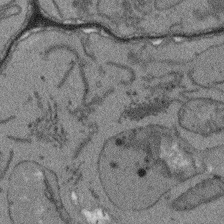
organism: Arabidopsis thaliana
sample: Root tip